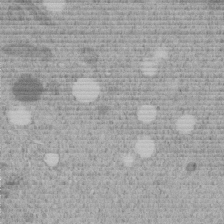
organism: C. elegans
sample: C. elegans embryo early stage